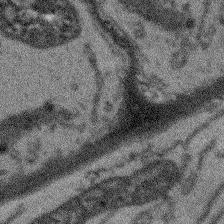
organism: Arabidopsis thaliana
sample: Root tip